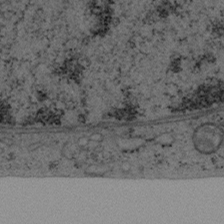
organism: Human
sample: HeLa cells